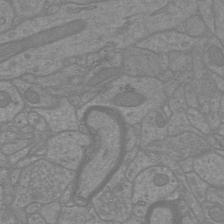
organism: Mouse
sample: Cortical neurons